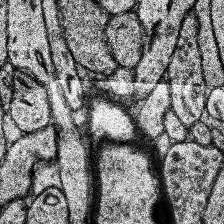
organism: Human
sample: Temporal Lobe